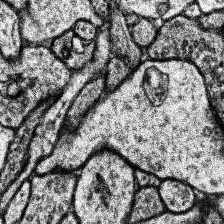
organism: Human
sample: Temporal Lobe